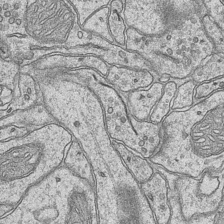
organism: Mouse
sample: CA1 Hippocampus